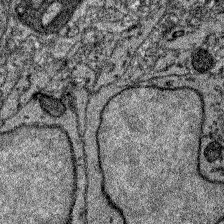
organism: Zebrafish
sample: Larval olfactory bulb